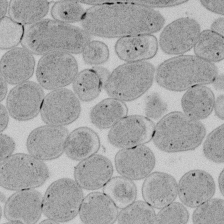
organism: E. coli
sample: Bacterial nucleoid